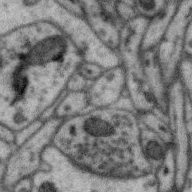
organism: Zebra finch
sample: Brain